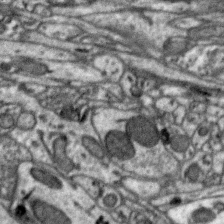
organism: Zebra finch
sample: Brain